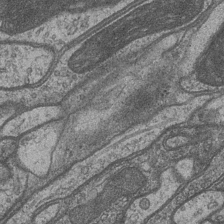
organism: Drosophila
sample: Optic medulla